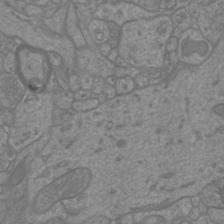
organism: Mouse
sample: Cortical neurons